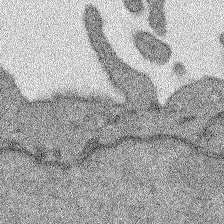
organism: Human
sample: HeLa cells